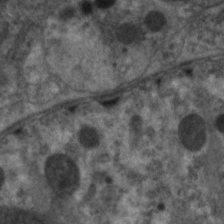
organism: C. elegans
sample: Pharynx